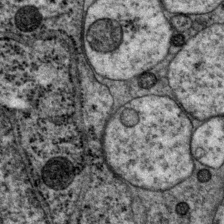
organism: P. pacificus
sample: Pharynx